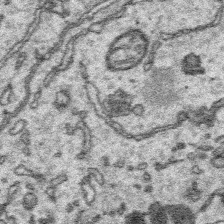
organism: Platynereis dumerilii